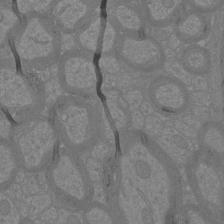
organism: Mouse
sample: Cortical neurons